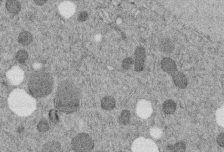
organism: C. elegans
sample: C. elegans embryo early stage